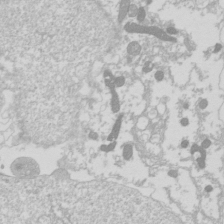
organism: Drosophila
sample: Cell division; meiosis; drosophila spermatocytes